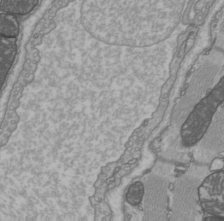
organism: C57BL Mouse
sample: Heart